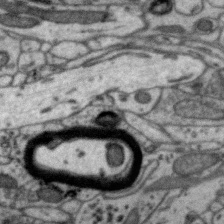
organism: Zebra finch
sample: Brain